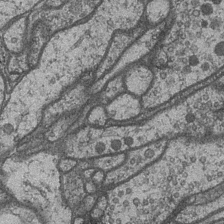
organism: Drosophila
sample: Optic medulla